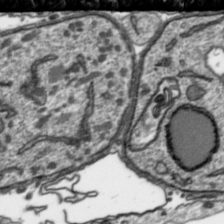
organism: Toxoplasma gondii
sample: Parasites in a vacuole inside a host cell